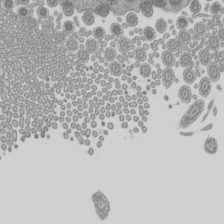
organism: Mouse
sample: Cilia; mouse epididymis